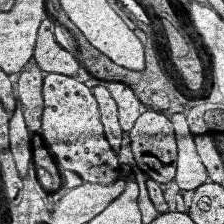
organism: Human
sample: Temporal Lobe